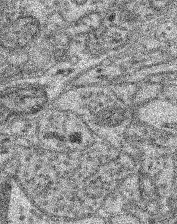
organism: Mouse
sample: Retina